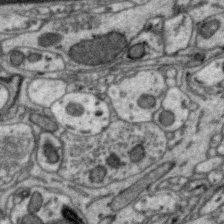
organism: Zebra finch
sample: Brain